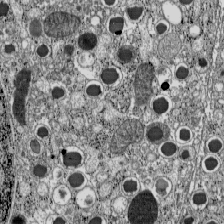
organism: C57BL Mouse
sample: Pancreatic islet